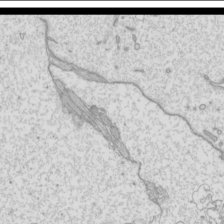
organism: Mouse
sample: Cilia; mouse epididymis